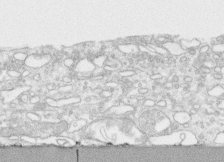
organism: Human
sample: CRL-1474